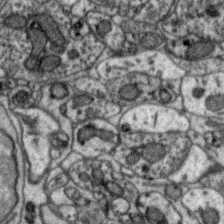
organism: Zebra finch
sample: Brain